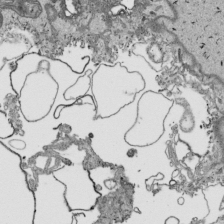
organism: Human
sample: Mitochondria in HCT116 cells